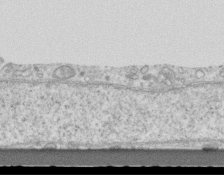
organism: Mouse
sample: Centriole in ependymal cells